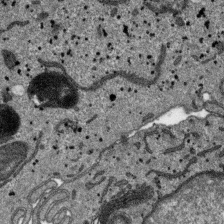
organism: Human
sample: Lung epithelial cells, uninfected (mock) control